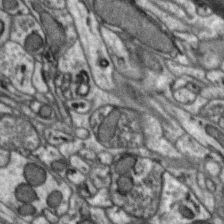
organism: Zebra finch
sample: Brain